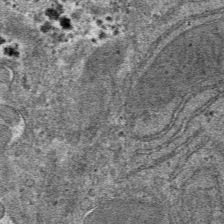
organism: Mouse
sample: Mouse hepatocytes